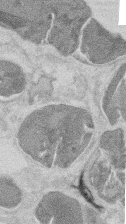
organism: Mouse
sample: T cell stromal cell synapse